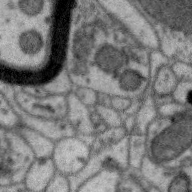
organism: Zebra finch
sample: Brain